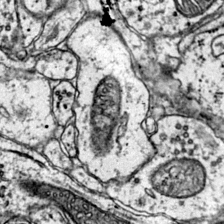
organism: Mouse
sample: Primary visual cortex